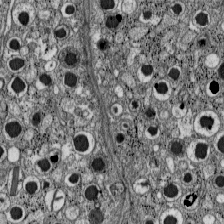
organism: C57BL Mouse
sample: Pancreatic islet